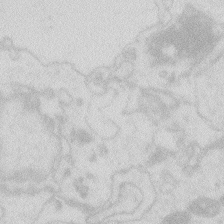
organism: Zebrafish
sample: Macrophage